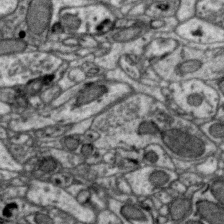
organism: Zebra finch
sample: Brain